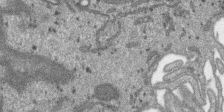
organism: Human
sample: Lung epithelial cells infected with SARS-CoV-2